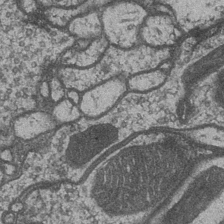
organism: Drosophila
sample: Optic medulla